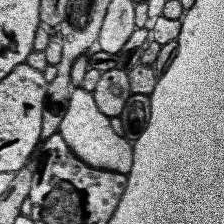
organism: Human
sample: Temporal Lobe